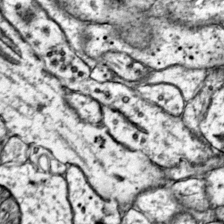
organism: Mouse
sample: Primary visual cortex